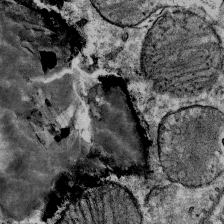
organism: Mouse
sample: Mouse Salivary gland